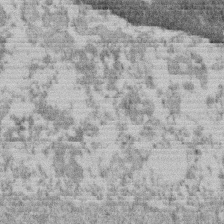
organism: Mouse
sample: Dividing mouse embryo 1 cell stage